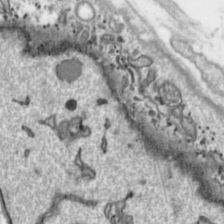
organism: Toxoplasma gondii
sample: Parasites in a vacuole inside a host cell